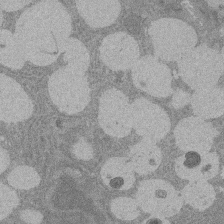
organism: Rat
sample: Salivary granule